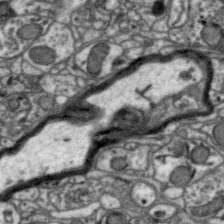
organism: Zebra finch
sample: Brain